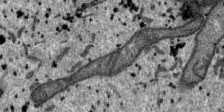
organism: Human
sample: Lung epithelial cells, uninfected (mock) control